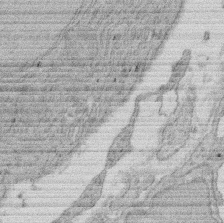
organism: Rat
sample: Salivary granule